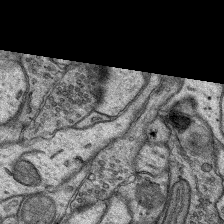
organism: Rat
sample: Hippocampus